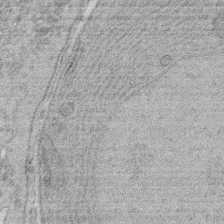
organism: Rat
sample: Salivary granule